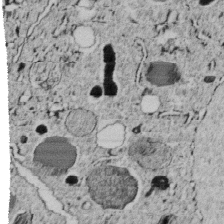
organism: C. elegans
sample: C. elegans embryo early stage